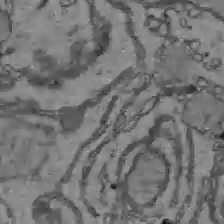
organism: C57BL Mouse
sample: Liver